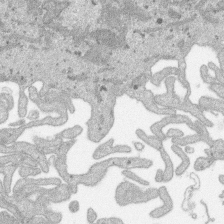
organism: Human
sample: Lung epithelial cells infected with SARS-CoV-2